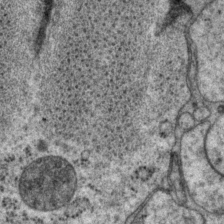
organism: P. pacificus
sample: Pharynx